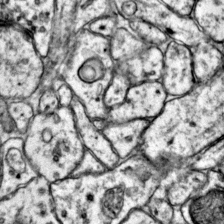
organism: Mouse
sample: Primary visual cortex